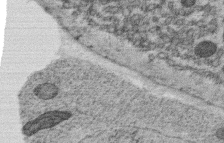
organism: C. elegans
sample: C. elegans oocyte; sperm cells